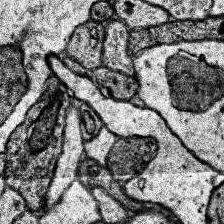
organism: Human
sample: Temporal Lobe